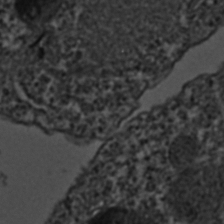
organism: C. elegans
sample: C. elegans embryo